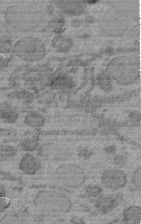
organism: C. elegans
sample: C. elegans embryo early stage